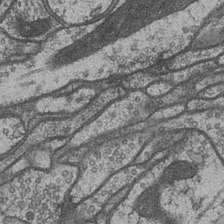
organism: Drosophila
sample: Optic medulla